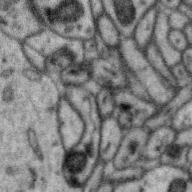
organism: Zebra finch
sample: Brain